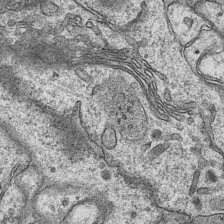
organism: Mouse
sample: CA1 Hippocampus